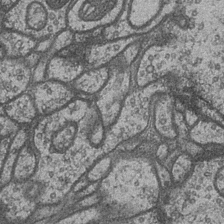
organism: Drosophila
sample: Optic medulla